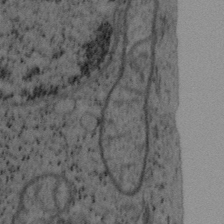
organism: Human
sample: HeLa cells